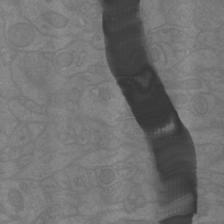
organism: Mouse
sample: Cortical neurons